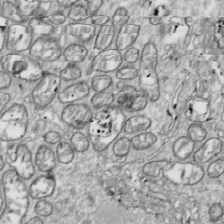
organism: Drosophila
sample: Cell division; meiosis; drosophila spermatocytes